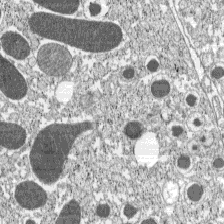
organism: C57BL Mouse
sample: Pancreatic islet